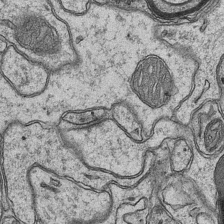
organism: Mouse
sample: CA1 Hippocampus